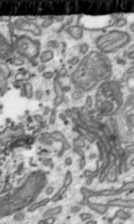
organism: Toxoplasma gondii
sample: Parasites in a vacuole inside a host cell